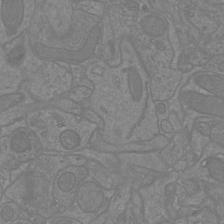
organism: Mouse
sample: Cortical neurons